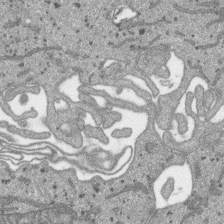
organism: Human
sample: Lung epithelial cells infected with SARS-CoV-2